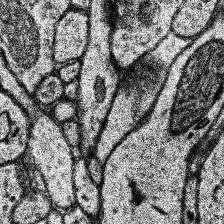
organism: Human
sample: Temporal Lobe